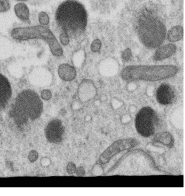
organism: C. elegans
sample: C. elegans oocyte; sperm cells